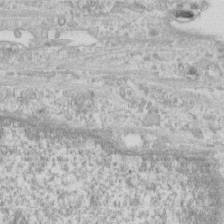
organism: Human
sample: CRL-1474